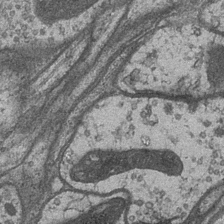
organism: Drosophila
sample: Optic medulla